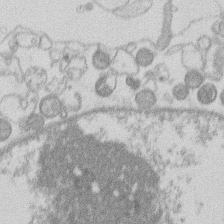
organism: Human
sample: Macrophage cells